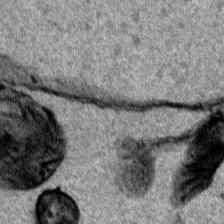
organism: Human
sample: Mitochondria in HCT116 cells